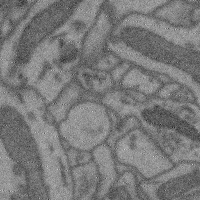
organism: Mouse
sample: Cerebral cortex